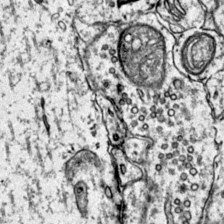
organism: Mouse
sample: Primary visual cortex